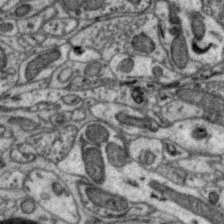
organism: Zebra finch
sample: Brain